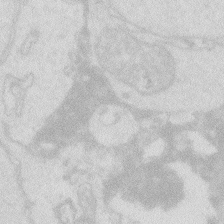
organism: Zebrafish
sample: Macrophage